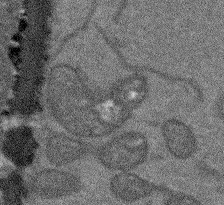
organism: Arabidopsis thaliana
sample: Root tip